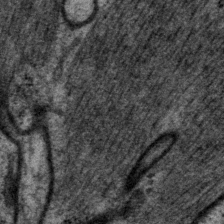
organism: P. pacificus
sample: Pharynx